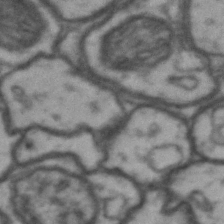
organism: Drosophila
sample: Brain